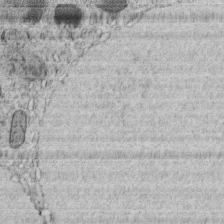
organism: C. elegans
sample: C. elegans embryo early stage